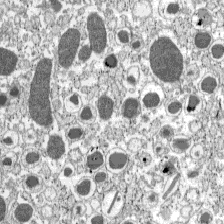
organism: C57BL Mouse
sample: Pancreatic islet